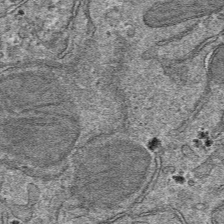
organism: Mouse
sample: Mouse hepatocytes